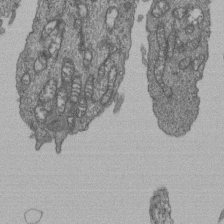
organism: Human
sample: Retinal organoid Rod and Cone cells